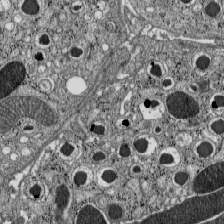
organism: C57BL Mouse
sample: Pancreatic islet